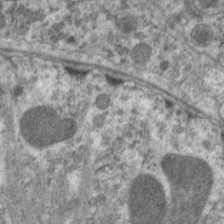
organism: C. elegans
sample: Pharynx